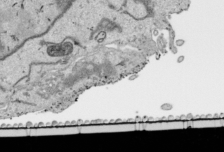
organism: Human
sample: Mitochondria in HCT116 cells